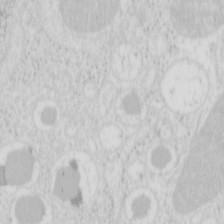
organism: Mouse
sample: Pancreas